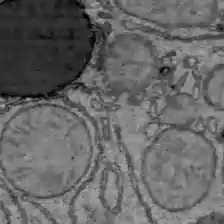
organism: C57BL Mouse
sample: Liver